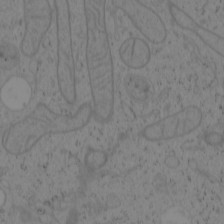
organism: Human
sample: HeLa cells